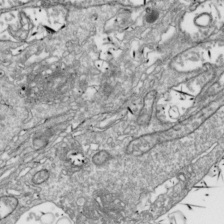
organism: Drosophila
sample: Cell division; meiosis; drosophila spermatocytes